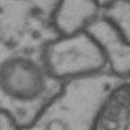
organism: Drosophila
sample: Brain